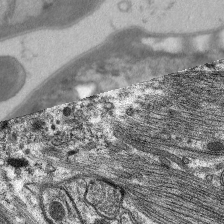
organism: C. elegans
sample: Pharynx